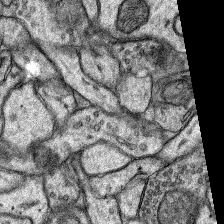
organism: Rat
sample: Hippocampus